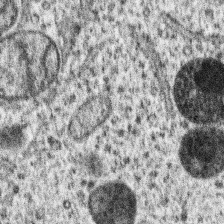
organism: Human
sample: HeLa cells